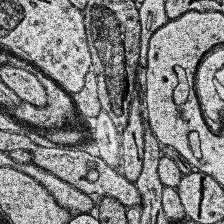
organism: Human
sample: Temporal Lobe